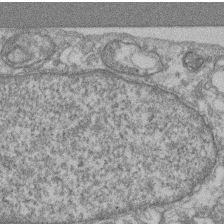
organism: Mouse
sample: T cell stromal cell synapse